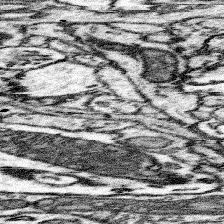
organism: Mouse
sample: Somatosensory cortex neuropil